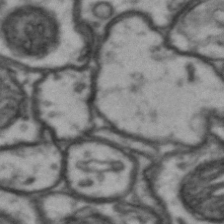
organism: Drosophila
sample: Brain